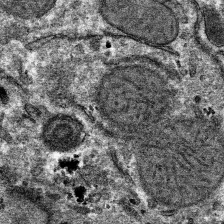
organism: Mouse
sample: Mouse hepatocytes